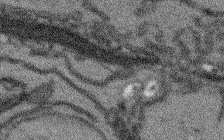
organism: Arabidopsis thaliana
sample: Root tip